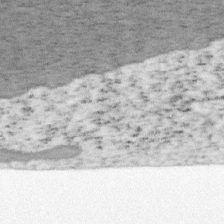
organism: Mouse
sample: OT-I killer T cells with ID8 ovarian cancer cells